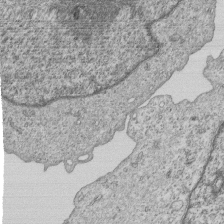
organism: Human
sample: MDA-MB-231 cells